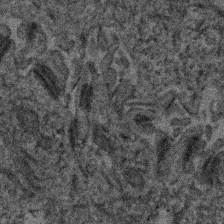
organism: Human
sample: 1205lu cells